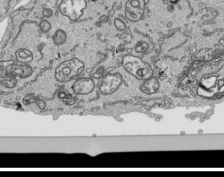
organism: Human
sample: Mitochondria in HCT116 cells